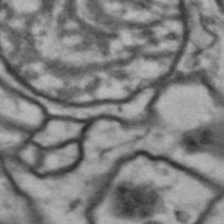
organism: Drosophila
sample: Brain